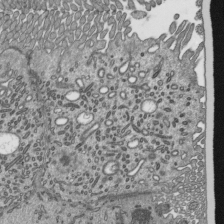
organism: Mouse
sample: Mouse epididymis efferent ductule cilia